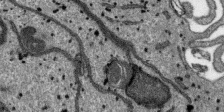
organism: Human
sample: Lung epithelial cells, uninfected (mock) control